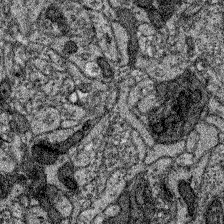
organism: Zebrafish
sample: Larval olfactory bulb